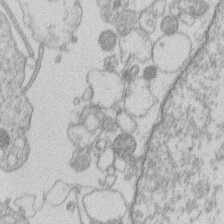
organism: Human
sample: Macrophage cells